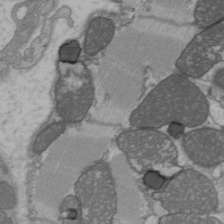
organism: C57BL Mouse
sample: Heart